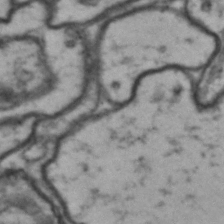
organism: Drosophila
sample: Brain